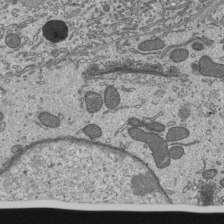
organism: Mouse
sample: Mouse epididymis efferent ductule cilia